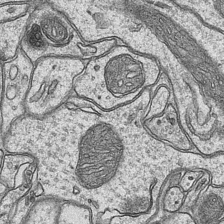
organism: Mouse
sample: CA1 Hippocampus